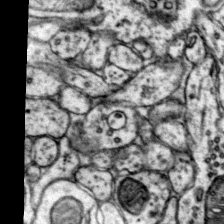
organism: Mouse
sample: Primary visual cortex